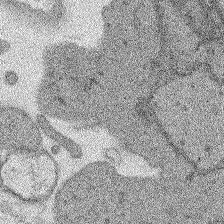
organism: Human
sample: HeLa cells